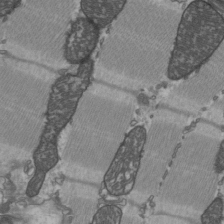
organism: C57BL Mouse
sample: Heart